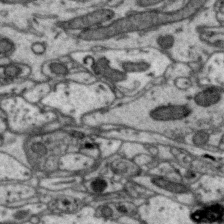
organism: Zebra finch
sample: Brain